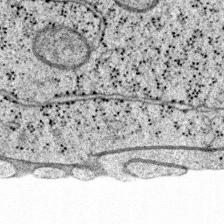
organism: Human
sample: HeLa cells